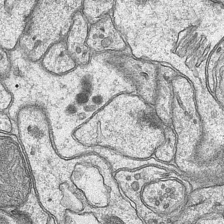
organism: Mouse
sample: CA1 Hippocampus